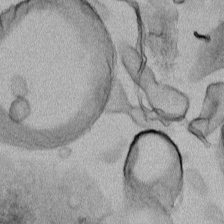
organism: Human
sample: Mitochondria in HCT116 cells